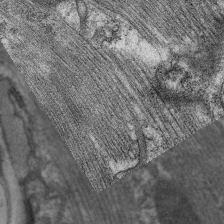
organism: C. elegans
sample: Pharynx